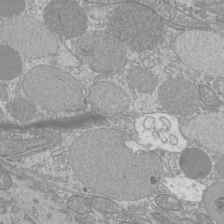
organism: Mouse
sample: Cilia; mouse epididymis